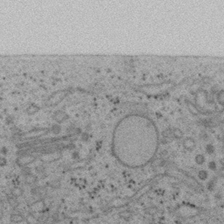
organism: Human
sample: HeLa cells